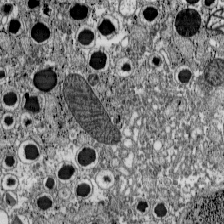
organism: C57BL Mouse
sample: Pancreatic islet